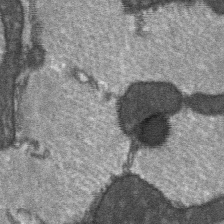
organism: C57BL Mouse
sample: Soleus